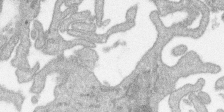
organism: Human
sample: Lung epithelial cells infected with SARS-CoV-2